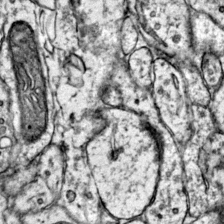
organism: Mouse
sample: Primary visual cortex